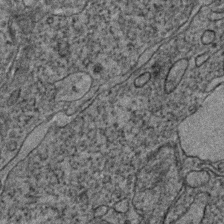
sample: Trachea